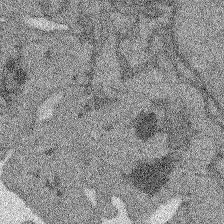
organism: Human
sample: HeLa cells